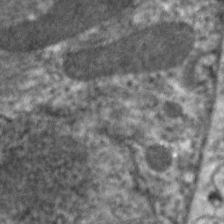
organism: C. elegans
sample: Pharynx